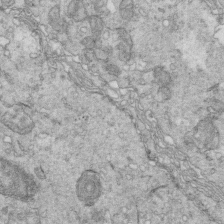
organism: Mouse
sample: Multiciliated cells